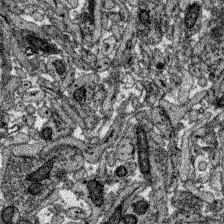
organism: Zebrafish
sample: Larval olfactory bulb